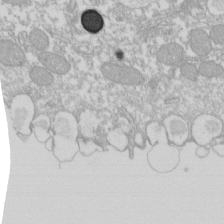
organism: Xenopus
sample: Cilia; centrioles in frog embryo cells